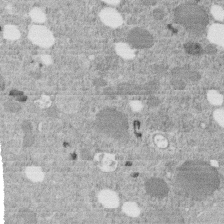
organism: C. elegans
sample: C. elegans embryo early stage